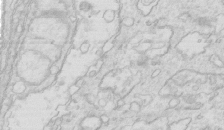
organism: Mouse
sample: Multiciliated cells